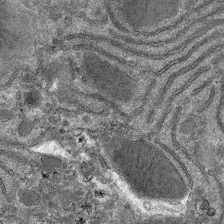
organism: Mouse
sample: Mouse hepatocytes